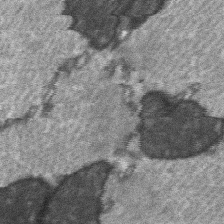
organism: C57BL Mouse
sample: Soleus